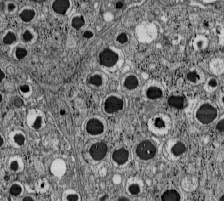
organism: C57BL Mouse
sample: Pancreatic islet